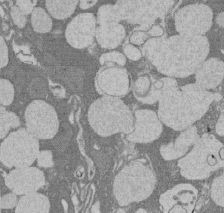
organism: Rat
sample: Salivary granule